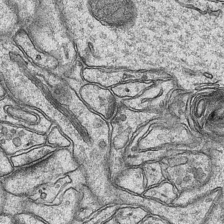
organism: Mouse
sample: CA1 Hippocampus